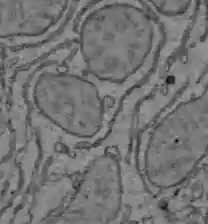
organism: C57BL Mouse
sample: Liver